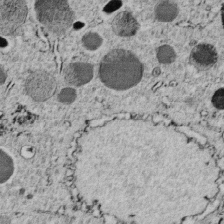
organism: C. elegans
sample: C. elegans embryo early stage